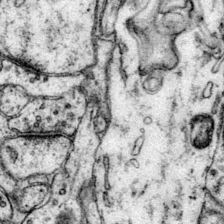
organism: Mouse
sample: Primary visual cortex